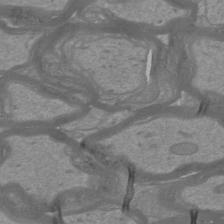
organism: Mouse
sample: Cortical neurons